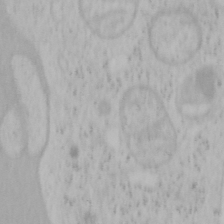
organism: Mouse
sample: OT-I killer T cells with ID8 ovarian cancer cells